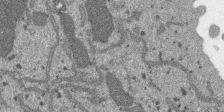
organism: Human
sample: Lung epithelial cells infected with SARS-CoV-2